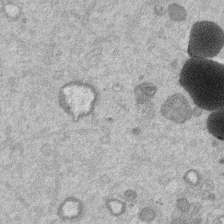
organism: Mouse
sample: Dividing mouse embryo 1 cell stage